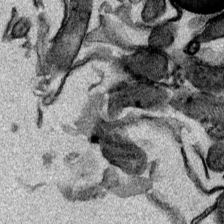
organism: Mouse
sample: Cancer cell death in ED-1 cells